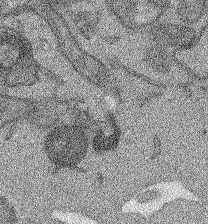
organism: Human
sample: HeLa cells